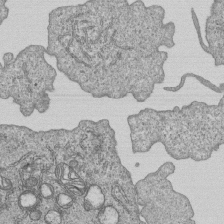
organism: Human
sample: MDA-MB-231 cells